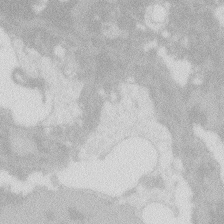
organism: Zebrafish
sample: Macrophage